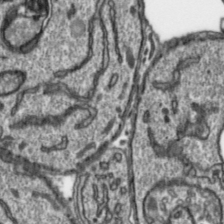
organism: Toxoplasma gondii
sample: Parasites in a vacuole inside a host cell